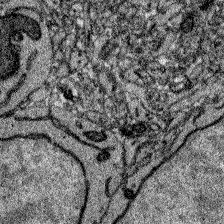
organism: Zebrafish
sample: Larval olfactory bulb